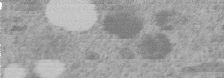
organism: C. elegans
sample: C. elegans embryo early stage